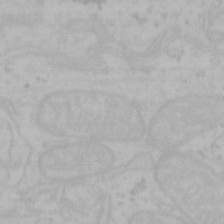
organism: Mouse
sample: Choroid plexus